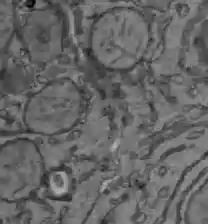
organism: C57BL Mouse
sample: Liver